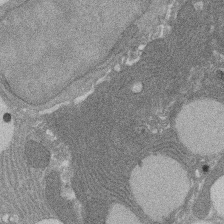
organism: Rat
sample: Salivary granule